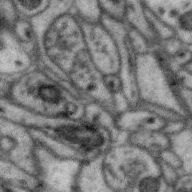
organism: Zebra finch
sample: Brain